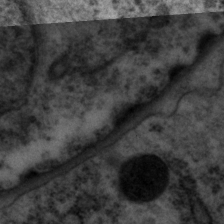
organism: P. pacificus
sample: Pharynx